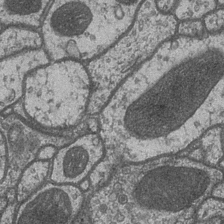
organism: Drosophila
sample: Optic medulla